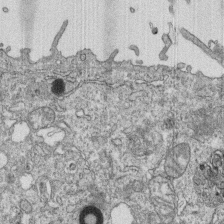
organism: Human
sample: HeLa cell HIV synapse